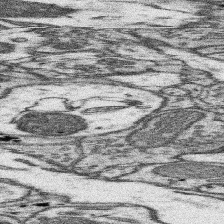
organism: Mouse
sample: Somatosensory cortex neuropil